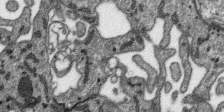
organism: Human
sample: Lung epithelial cells infected with SARS-CoV-2